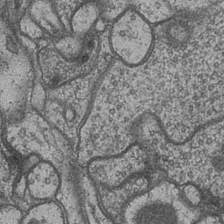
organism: Drosophila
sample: Optic medulla